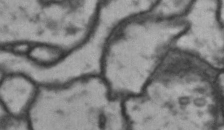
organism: Drosophila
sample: Brain